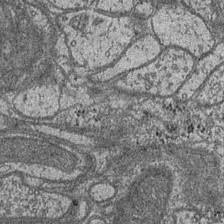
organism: Drosophila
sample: Optic medulla